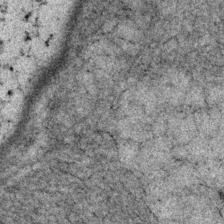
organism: P. pacificus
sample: Pharynx